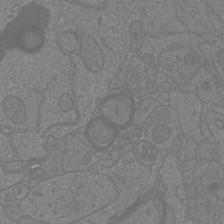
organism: Mouse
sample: Cortical neurons